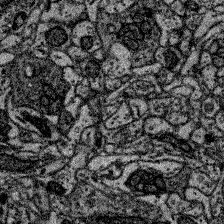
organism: Zebrafish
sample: Larval olfactory bulb